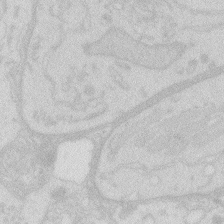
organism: Zebrafish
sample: Macrophage